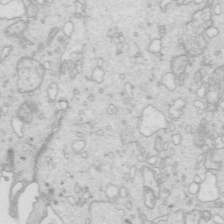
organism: Mouse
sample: Multiciliated cells